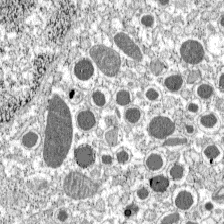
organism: C57BL Mouse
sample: Pancreatic islet